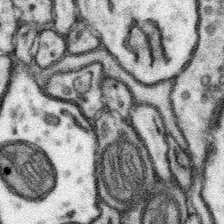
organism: Mouse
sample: Somatosensory cortex neuropil